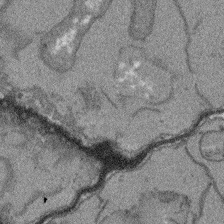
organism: Arabidopsis thaliana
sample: Root tip